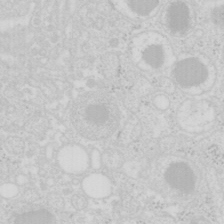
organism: Mouse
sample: Pancreas